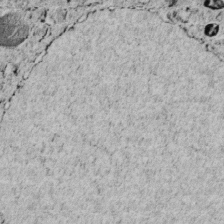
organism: C. elegans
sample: C. elegans embryo early stage